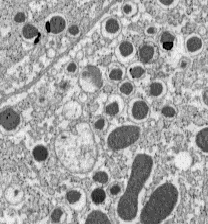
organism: C57BL Mouse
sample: Pancreatic islet